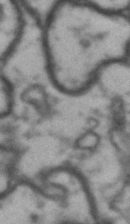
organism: Drosophila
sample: Brain